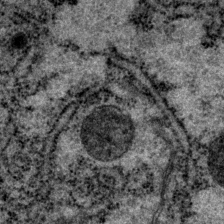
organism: P. pacificus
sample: Pharynx